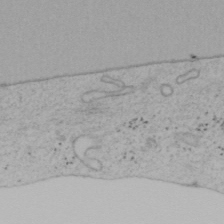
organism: Human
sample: HeLa cells